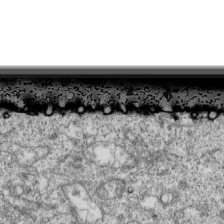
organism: Human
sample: HeLa cell HIV synapse